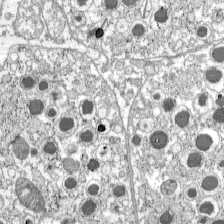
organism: C57BL Mouse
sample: Pancreatic islet